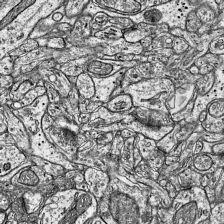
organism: Mouse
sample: Visual Cortex